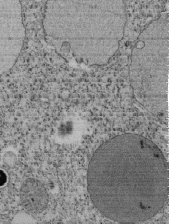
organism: Tetrahymena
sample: Cilia in tetrahymena